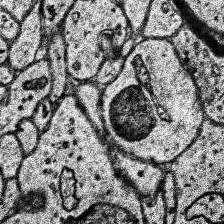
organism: Human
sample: Temporal Lobe